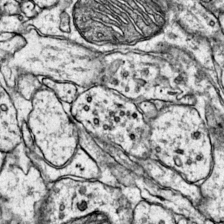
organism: Mouse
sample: Primary visual cortex